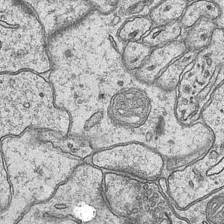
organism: Mouse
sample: CA1 Hippocampus